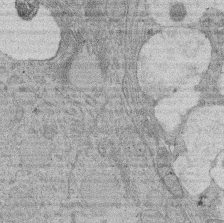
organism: Rat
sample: Salivary granule